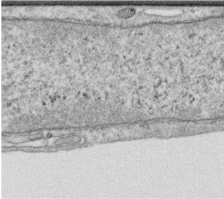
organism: Human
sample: Centriole in RPE cells